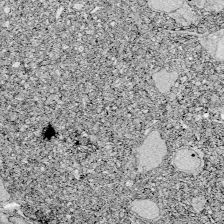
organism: Zebrafish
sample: Whole-Brain